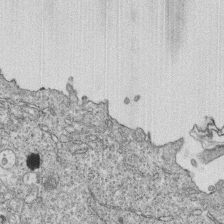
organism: Human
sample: HeLa cell HIV synapse